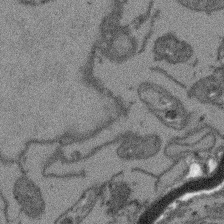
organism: Arabidopsis thaliana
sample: Root tip